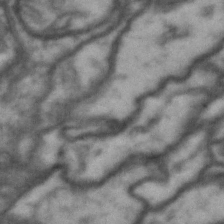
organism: Drosophila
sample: Brain